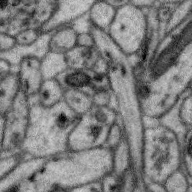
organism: Zebra finch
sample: Brain